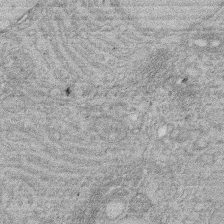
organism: Rat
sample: Salivary granule